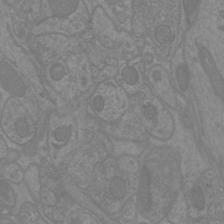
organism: Mouse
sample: Cortical neurons